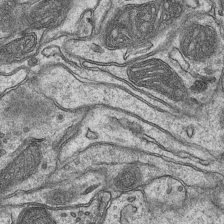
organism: Mouse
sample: CA1 Hippocampus